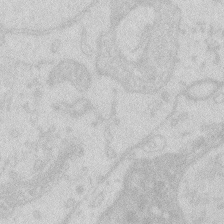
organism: Zebrafish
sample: Macrophage